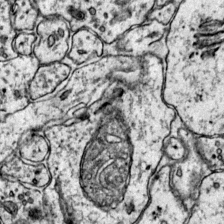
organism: Mouse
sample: Primary visual cortex